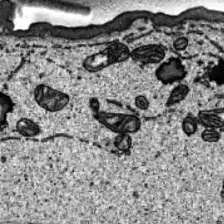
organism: Human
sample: HeLa cells